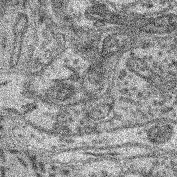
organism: Mouse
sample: Retina